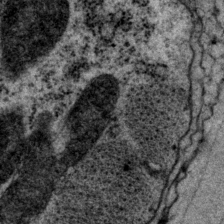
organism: P. pacificus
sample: Pharynx